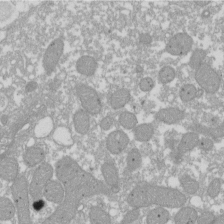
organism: Xenopus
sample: Cilia; centrioles in frog embryo cells